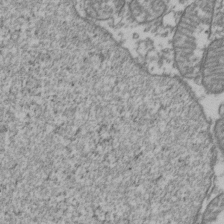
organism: Human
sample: Activated Jurkat CD4+ T cells